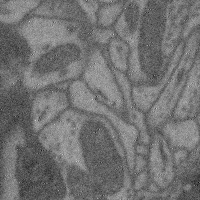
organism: Mouse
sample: Cerebral cortex